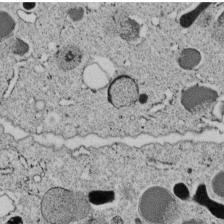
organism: C. elegans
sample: C. elegans embryo early stage